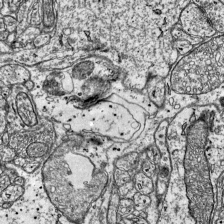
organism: Mouse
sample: Visual Cortex